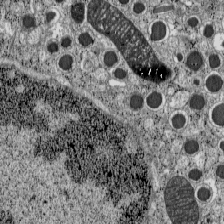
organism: C57BL Mouse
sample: Pancreatic islet